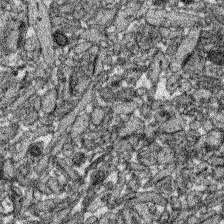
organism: Zebrafish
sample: Larval olfactory bulb